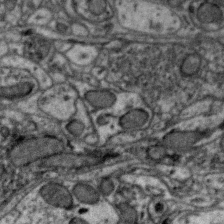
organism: Zebra finch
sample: Brain